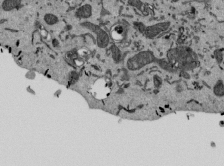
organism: Mouse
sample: ED-1 cell nuclei; centrioles